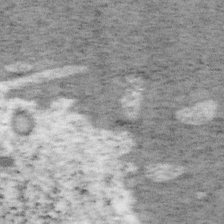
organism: Mouse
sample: OT-I killer T cells with ID8 ovarian cancer cells